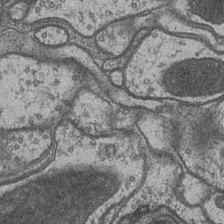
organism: Drosophila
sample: Optic medulla